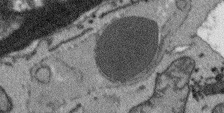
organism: Arabidopsis thaliana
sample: Root tip